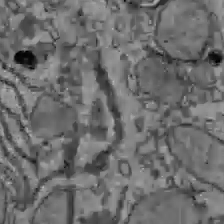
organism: C57BL Mouse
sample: Liver